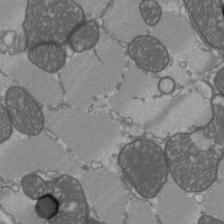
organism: C57BL Mouse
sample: Heart